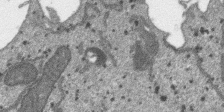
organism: Human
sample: Lung epithelial cells infected with SARS-CoV-2